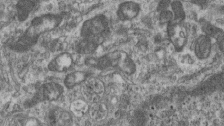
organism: Mouse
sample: Centriole in ependymal cells